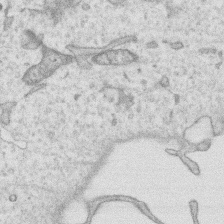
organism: Human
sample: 1205lu cells